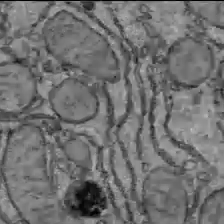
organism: C57BL Mouse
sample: Liver